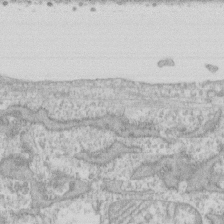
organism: Human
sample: CRL-1474